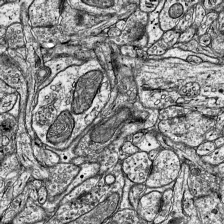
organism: Mouse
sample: Visual Cortex